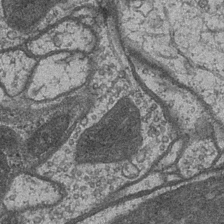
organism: Drosophila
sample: Optic medulla